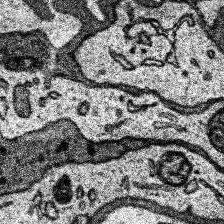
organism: Human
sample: Temporal Lobe